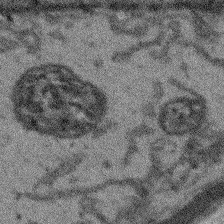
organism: Arabidopsis thaliana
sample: Root tip